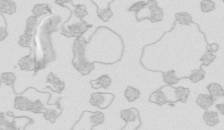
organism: Mouse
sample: Multiciliated cells